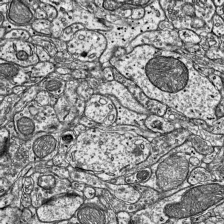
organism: Mouse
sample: Visual Cortex